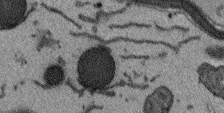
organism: Arabidopsis thaliana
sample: Root tip